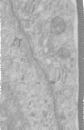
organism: Human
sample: Centriole in RPE cells